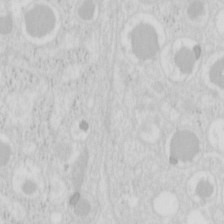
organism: Mouse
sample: Pancreas